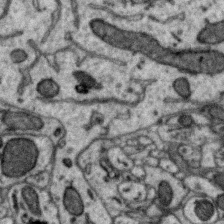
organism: Zebra finch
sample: Brain